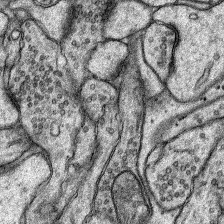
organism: Rat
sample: Hippocampus